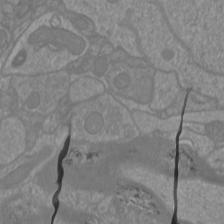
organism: Mouse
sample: Cortical neurons